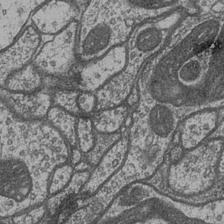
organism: Drosophila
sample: Optic medulla